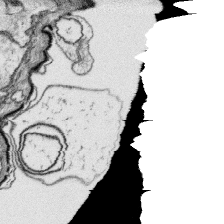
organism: Platynereis dumerilii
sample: Parapodia